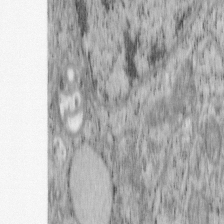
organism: Human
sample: HeLa cells